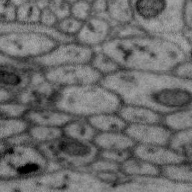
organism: Zebra finch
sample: Brain